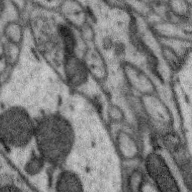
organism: Zebra finch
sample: Brain